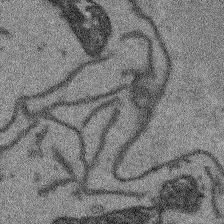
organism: Arabidopsis thaliana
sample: Root tip